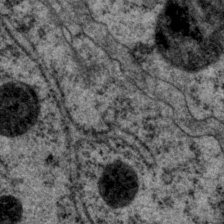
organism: P. pacificus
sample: Pharynx